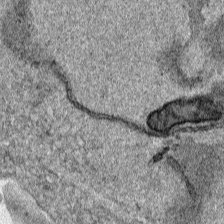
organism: Human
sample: Mitochondria in HCT116 cells